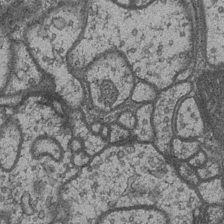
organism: Drosophila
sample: Optic medulla